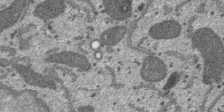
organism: Human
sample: Lung epithelial cells infected with SARS-CoV-2